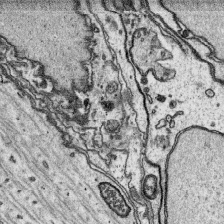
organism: Platynereis dumerilii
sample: Parapodia